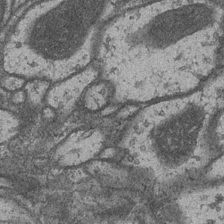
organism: Drosophila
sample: Optic medulla